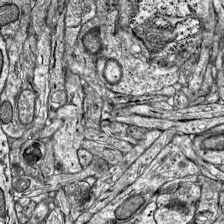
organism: Mouse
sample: Visual Cortex